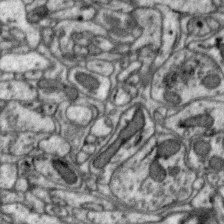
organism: Zebra finch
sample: Brain